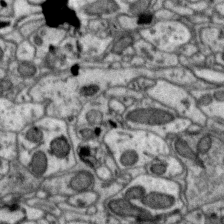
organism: Zebra finch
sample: Brain